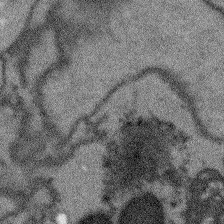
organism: Arabidopsis thaliana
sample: Root tip